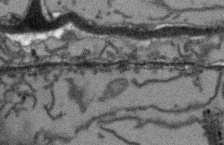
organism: Arabidopsis thaliana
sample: Root tip